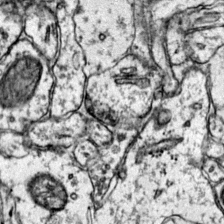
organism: Mouse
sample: Primary visual cortex